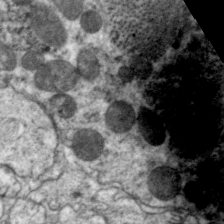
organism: C. elegans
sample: Pharynx